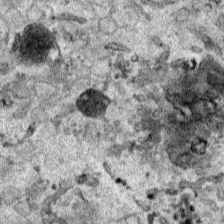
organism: Human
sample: Mitochondria in HCT116 cells